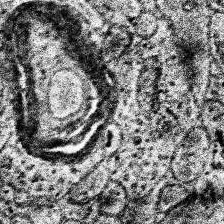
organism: Human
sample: Temporal Lobe